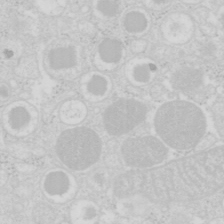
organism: Mouse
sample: Pancreas